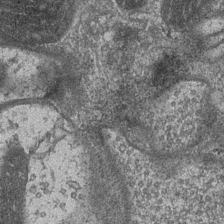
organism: Drosophila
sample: Optic medulla